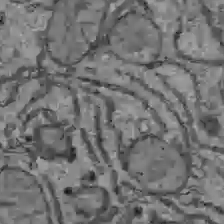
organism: C57BL Mouse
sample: Liver